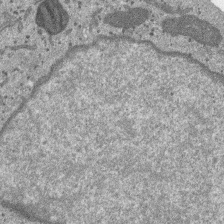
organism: Human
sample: Lung epithelial cells infected with SARS-CoV-2